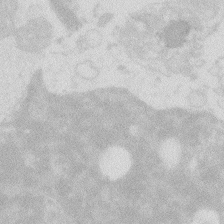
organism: Zebrafish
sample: Macrophage